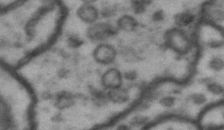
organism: Drosophila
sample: Brain